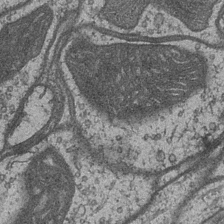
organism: Drosophila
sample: Optic medulla